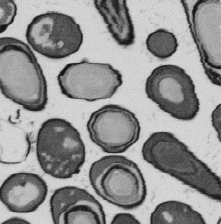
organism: B. subtilis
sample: Bacterial spore